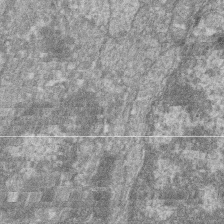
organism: Zebrafish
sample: Cilia; retinal pigment epithelium